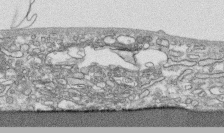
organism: Human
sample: CRL-1474